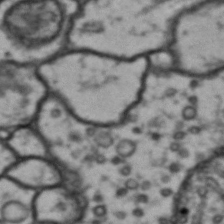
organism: Drosophila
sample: Brain